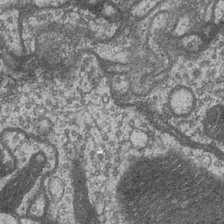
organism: Drosophila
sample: Optic medulla